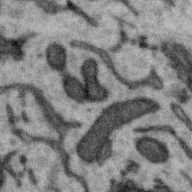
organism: Zebra finch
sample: Brain